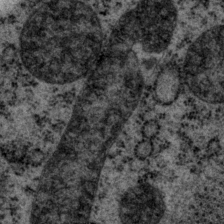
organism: P. pacificus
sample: Pharynx